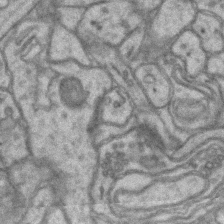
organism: Mouse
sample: CA1 Hippocampus